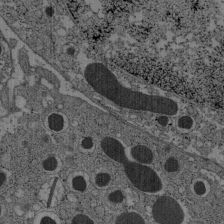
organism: C57BL Mouse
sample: Pancreatic islet